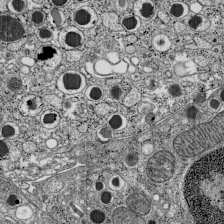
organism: C57BL Mouse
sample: Pancreatic islet